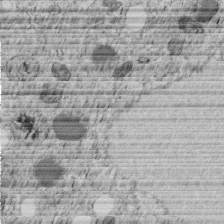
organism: C. elegans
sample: C. elegans embryo early stage